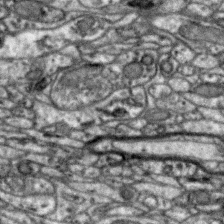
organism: Zebra finch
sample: Brain